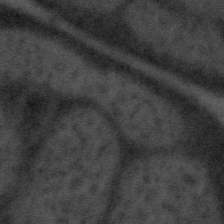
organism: Tuwongella immobilis